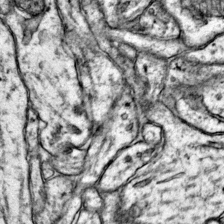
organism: Mouse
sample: Primary visual cortex